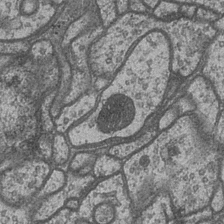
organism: Drosophila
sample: Optic medulla